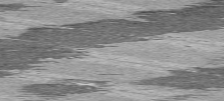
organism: C57BL Mouse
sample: Heart